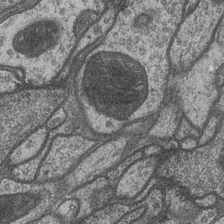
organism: Drosophila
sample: Optic medulla